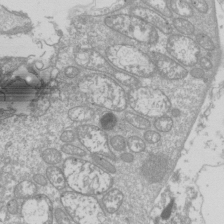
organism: Drosophila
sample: Cell division; meiosis; drosophila spermatocytes